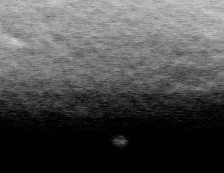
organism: Human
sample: HeLa cells